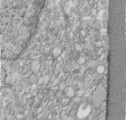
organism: Human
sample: Centriole in RPE cells